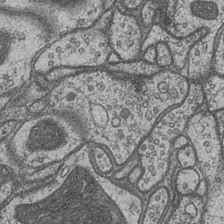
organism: Drosophila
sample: Optic medulla